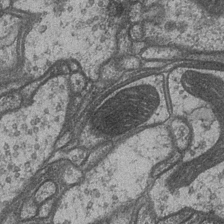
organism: Drosophila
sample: Optic medulla